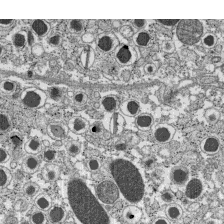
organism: C57BL Mouse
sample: Pancreatic islet